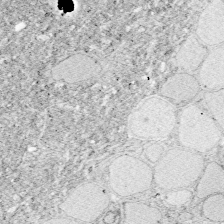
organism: Zebrafish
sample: Whole-Brain